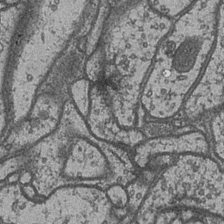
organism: Drosophila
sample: Optic medulla